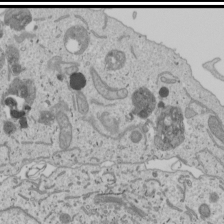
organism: Human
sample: Mitochondria in U2OS cells